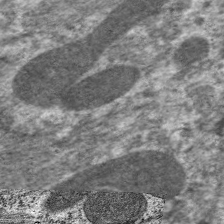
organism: C. elegans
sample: Pharynx